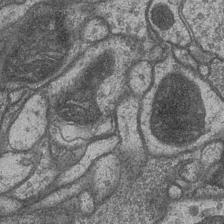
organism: Drosophila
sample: Optic medulla